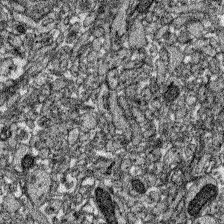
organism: Zebrafish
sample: Larval olfactory bulb